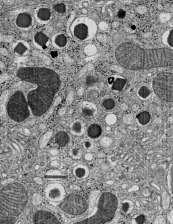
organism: C57BL Mouse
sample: Pancreatic islet